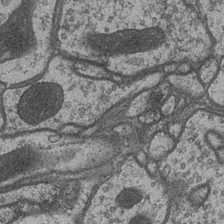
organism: Drosophila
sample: Optic medulla